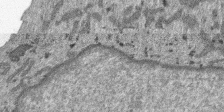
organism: Human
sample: Lung epithelial cells infected with SARS-CoV-2